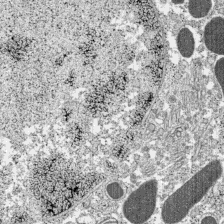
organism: C57BL Mouse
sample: Pancreatic islet